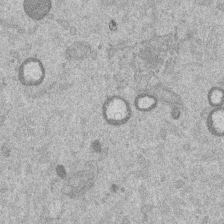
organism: Mouse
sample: Dividing mouse embryo 1 cell stage